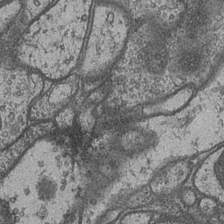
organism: Drosophila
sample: Optic medulla